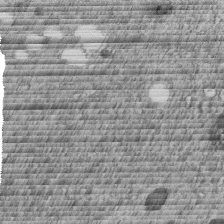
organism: C. elegans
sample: C. elegans embryo early stage